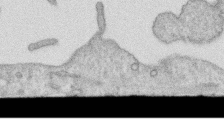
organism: Human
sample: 1205lu cells